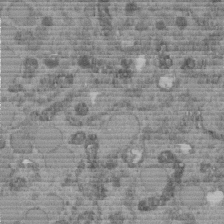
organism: C. elegans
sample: C. elegans embryo early stage